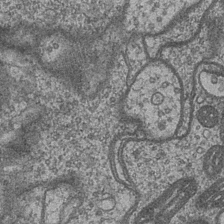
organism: Drosophila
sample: Optic medulla